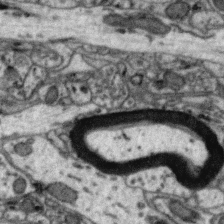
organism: Zebra finch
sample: Brain